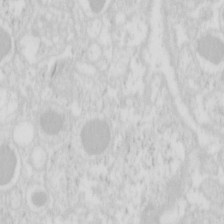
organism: Mouse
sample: Pancreas